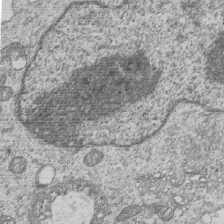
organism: Human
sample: MDA-MB-231 cells